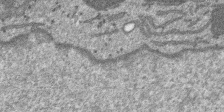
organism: Human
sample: Lung epithelial cells infected with SARS-CoV-2